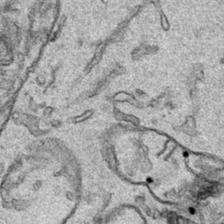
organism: Human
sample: Mitochondria in HCT116 cells